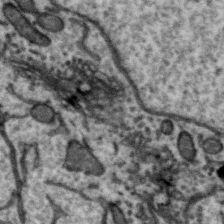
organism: Zebra finch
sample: Brain